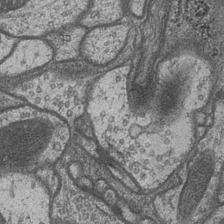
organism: Drosophila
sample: Optic medulla